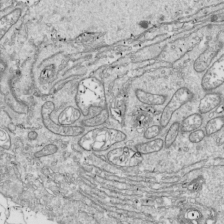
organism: Drosophila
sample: Cell division; meiosis; drosophila spermatocytes